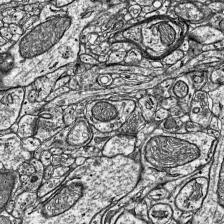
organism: Mouse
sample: Visual Cortex